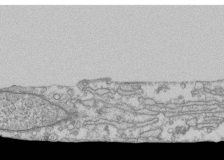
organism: Human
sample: Fibroblast cells